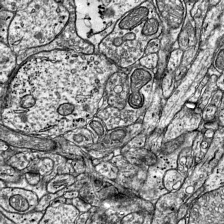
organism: Mouse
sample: Visual Cortex